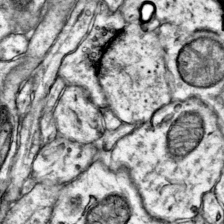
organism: Mouse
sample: Primary visual cortex